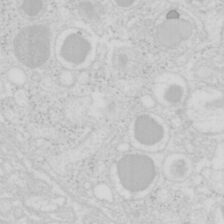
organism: Mouse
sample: Pancreas